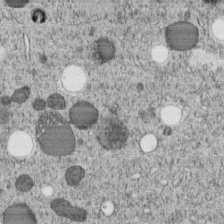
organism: C. elegans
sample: C. elegans embryo early stage